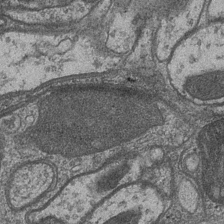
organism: Drosophila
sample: Optic medulla